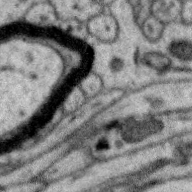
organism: Zebra finch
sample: Brain